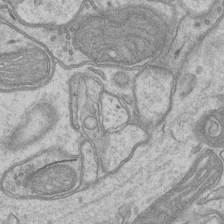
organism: Mouse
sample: CA1 Hippocampus